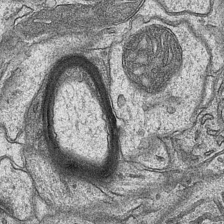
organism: Mouse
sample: CA1 Hippocampus